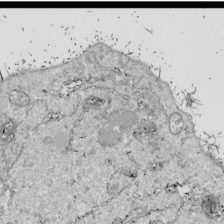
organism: Drosophila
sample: Cell division; meiosis; drosophila spermatocytes